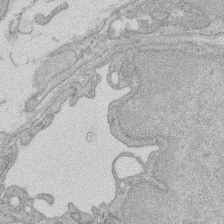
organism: Rat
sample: Salivary granule